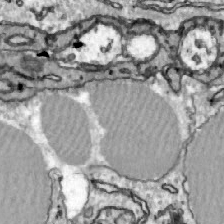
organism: Zebrafish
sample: Actinotrichia fibers